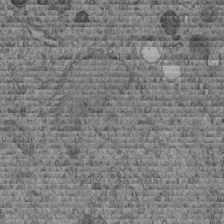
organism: C. elegans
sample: C. elegans embryo early stage